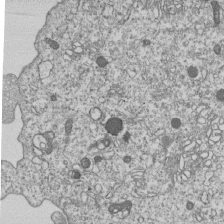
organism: Human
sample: MDA-MB-231 cells